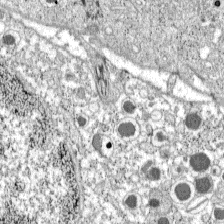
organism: C57BL Mouse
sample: Pancreatic islet